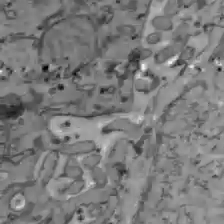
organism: C57BL Mouse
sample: Liver